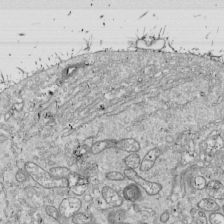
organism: Drosophila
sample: Cell division; meiosis; drosophila spermatocytes